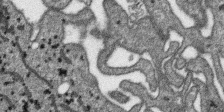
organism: Human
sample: Lung epithelial cells infected with SARS-CoV-2